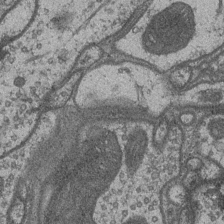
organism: Drosophila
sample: Optic medulla